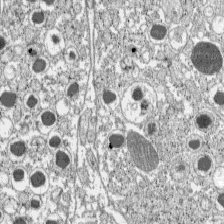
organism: C57BL Mouse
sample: Pancreatic islet